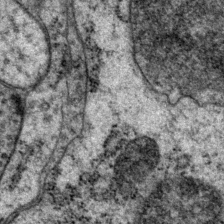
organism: P. pacificus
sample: Pharynx